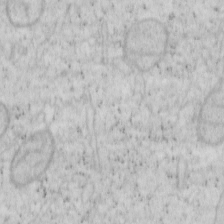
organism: Human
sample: HeLa cells